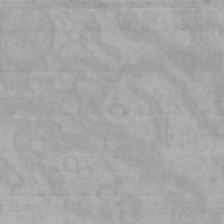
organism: Mouse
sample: Choroid plexus